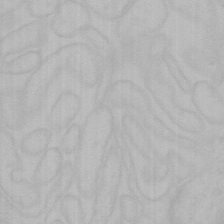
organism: Mouse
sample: Choroid plexus